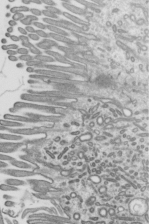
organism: Mouse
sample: Mouse epididymis efferent ductule cilia